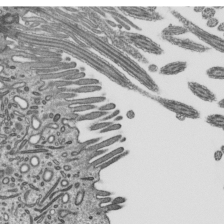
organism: Mouse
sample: Mouse epididymis efferent ductule cilia